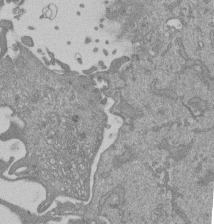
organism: Mouse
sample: ED-1 cell nuclei; centrioles